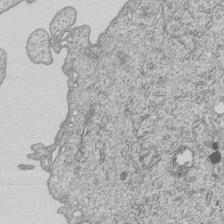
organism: Human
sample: MDA-MB-231 cells